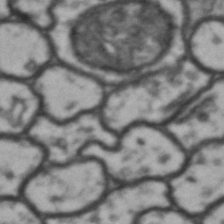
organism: Drosophila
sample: Brain